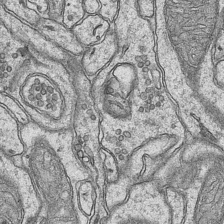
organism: Mouse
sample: CA1 Hippocampus